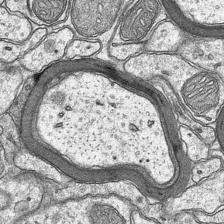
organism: Mouse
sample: CA1 Hippocampus